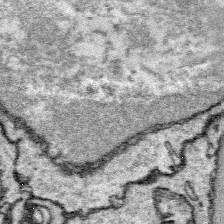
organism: Platynereis dumerilii